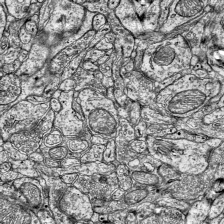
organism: Mouse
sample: Visual Cortex